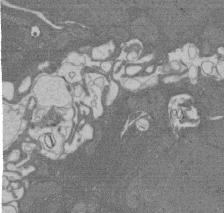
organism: Rat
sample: Salivary granule